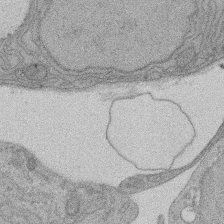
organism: Rat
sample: Salivary granule